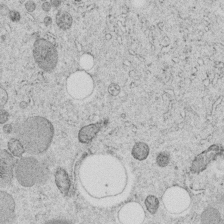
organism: C. elegans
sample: C. elegans embryo early stage